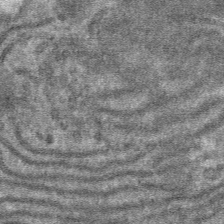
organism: Mouse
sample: Mouse hepatocytes